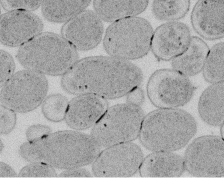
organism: E. coli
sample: Bacterial nucleoid